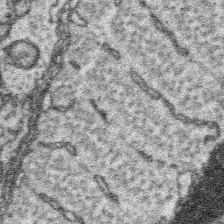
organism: Platynereis dumerilii